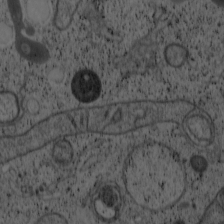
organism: African green monkey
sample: COS-7 cells